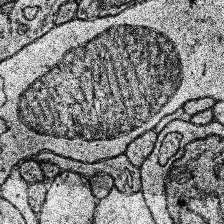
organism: Human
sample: Temporal Lobe